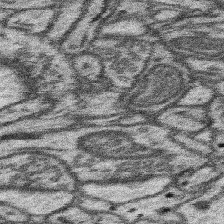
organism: Mouse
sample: Somatosensory cortex neuropil